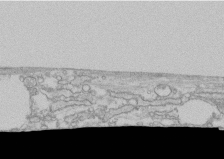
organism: Human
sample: CRL-1474